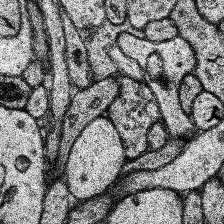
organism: Human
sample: Temporal Lobe